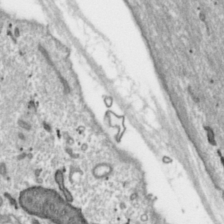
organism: Toxoplasma gondii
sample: Parasites in a vacuole inside a host cell